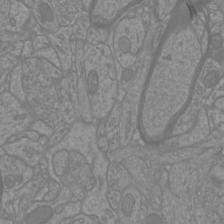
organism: Mouse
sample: Cortical neurons